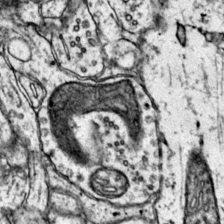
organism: Mouse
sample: Primary visual cortex